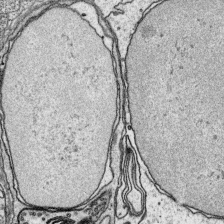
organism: Platynereis dumerilii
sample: Parapodia